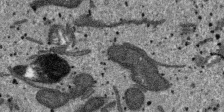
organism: Human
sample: Lung epithelial cells, uninfected (mock) control